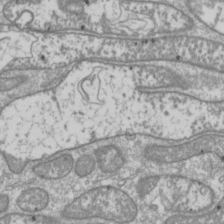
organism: Drosophila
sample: Cell division; meiosis; drosophila spermatocytes